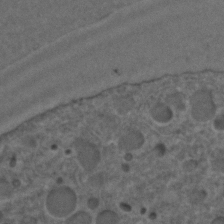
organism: C. elegans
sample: C. elegans embryo